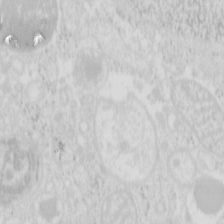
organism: Mouse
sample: Pancreas